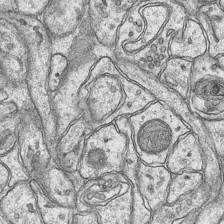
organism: Mouse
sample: CA1 Hippocampus